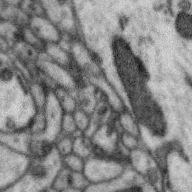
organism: Zebra finch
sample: Brain